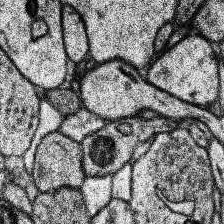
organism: Human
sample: Temporal Lobe